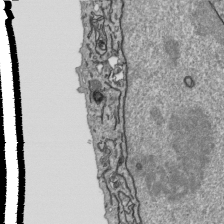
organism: Human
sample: Mitochondria in HCT116 cells